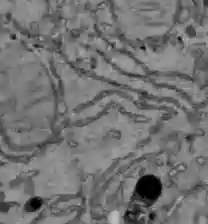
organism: C57BL Mouse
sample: Liver